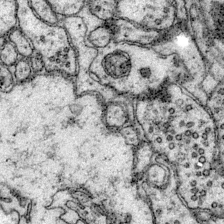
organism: Mouse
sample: Primary visual cortex